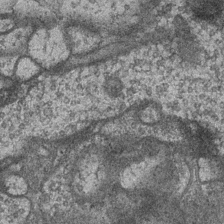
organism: Drosophila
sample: Optic medulla